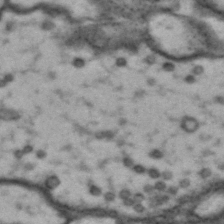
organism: Drosophila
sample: Brain